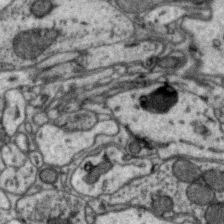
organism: Zebra finch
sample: Brain